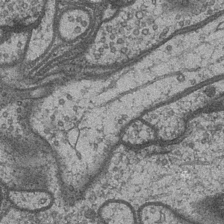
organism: Drosophila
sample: Optic medulla